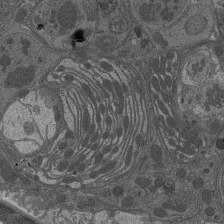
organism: Drosophila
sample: Antenna